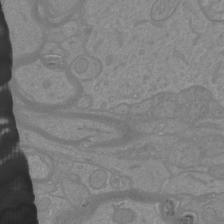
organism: Mouse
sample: Cortical neurons